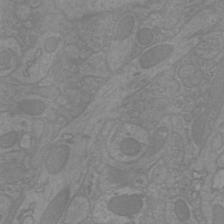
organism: Mouse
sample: Cortical neurons